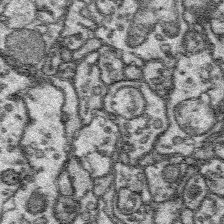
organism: Platynereis dumerilii